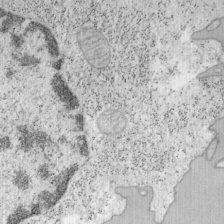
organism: Mouse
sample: OT-I killer T cells with ID8 ovarian cancer cells